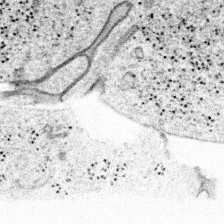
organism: Human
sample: HeLa cells